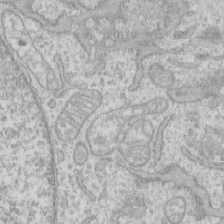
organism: Human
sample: CRL-1474